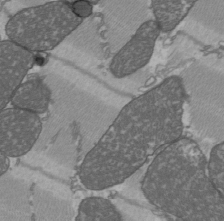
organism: C57BL Mouse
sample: Heart